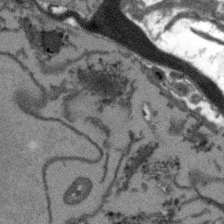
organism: Arabidopsis thaliana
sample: Root tip